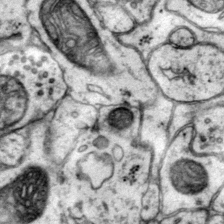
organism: Mouse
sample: Primary visual cortex